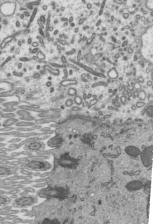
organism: Mouse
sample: Mouse epididymis efferent ductule cilia